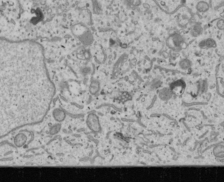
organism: Human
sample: Mitochondria in U2OS cells